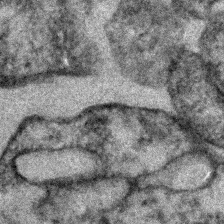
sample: Kidney